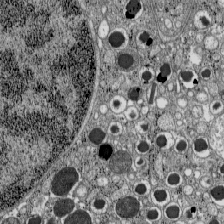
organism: C57BL Mouse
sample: Pancreatic islet